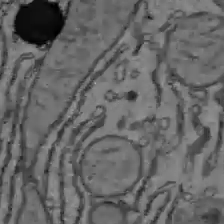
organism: C57BL Mouse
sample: Liver